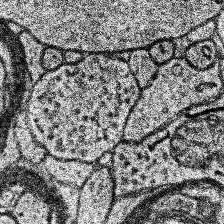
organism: Human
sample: Temporal Lobe